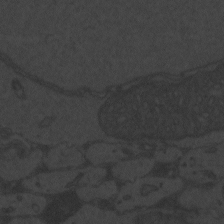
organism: Zebrafish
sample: Macrophage infected with Toxoplasma gondii